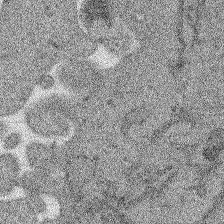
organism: Human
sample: HeLa cells